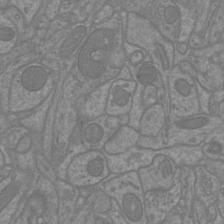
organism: Mouse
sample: Cortical neurons